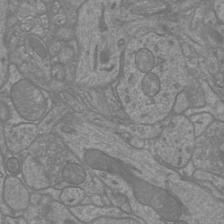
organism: Mouse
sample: Cortical neurons